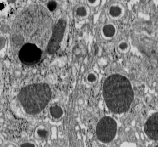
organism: C57BL Mouse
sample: Pancreatic islet